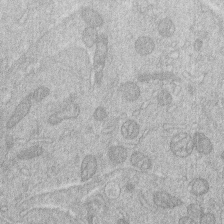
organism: Human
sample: Macrophage cells